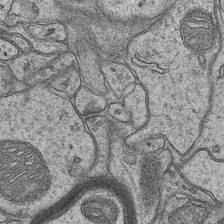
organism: Mouse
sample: CA1 Hippocampus